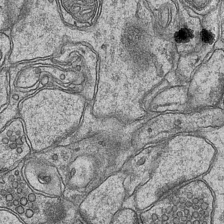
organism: Mouse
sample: CA1 Hippocampus